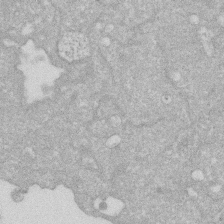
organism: Human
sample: HIV infected U937 cells